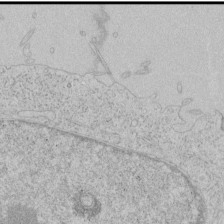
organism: Human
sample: Mitochondria in HCT116 cells